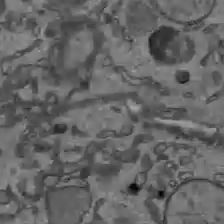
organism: C57BL Mouse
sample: Liver